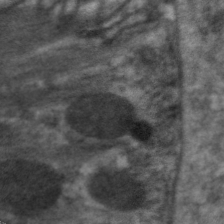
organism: C. elegans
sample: Pharynx